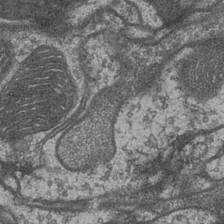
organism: Drosophila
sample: Optic medulla